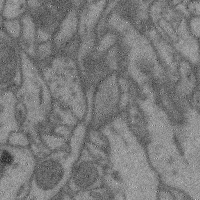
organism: Mouse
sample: Cerebral cortex